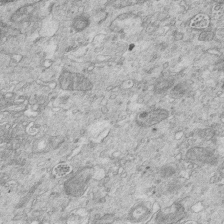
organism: Mouse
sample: Multiciliated cells